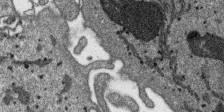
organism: Human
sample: Lung epithelial cells infected with SARS-CoV-2